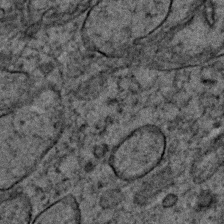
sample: Trachea